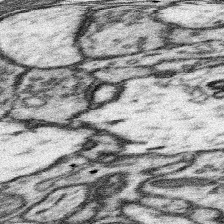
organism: Mouse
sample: Somatosensory cortex neuropil